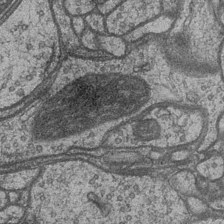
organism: Drosophila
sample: Optic medulla